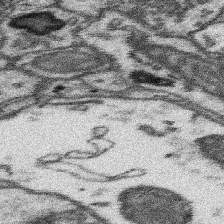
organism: Mouse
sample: Somatosensory cortex neuropil